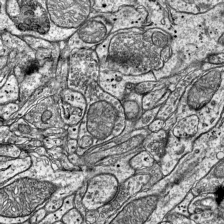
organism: Mouse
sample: Visual Cortex